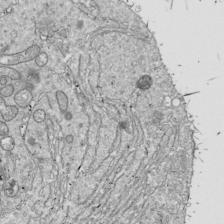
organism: Drosophila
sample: Cell division; meiosis; drosophila spermatocytes